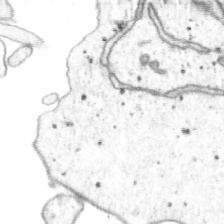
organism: Human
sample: HeLa cells